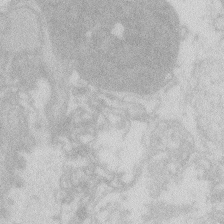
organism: Zebrafish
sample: Macrophage